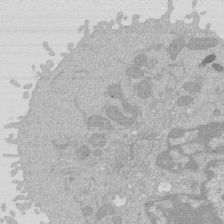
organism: Mouse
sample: Activated Pmel transgenic CD8+ T Cells